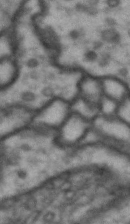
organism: Drosophila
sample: Brain